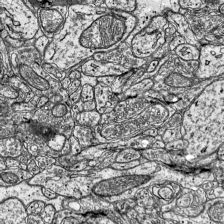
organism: Mouse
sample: Visual Cortex